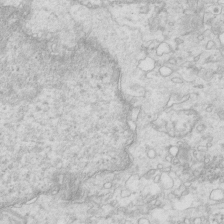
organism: Mouse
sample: Multiciliated cells